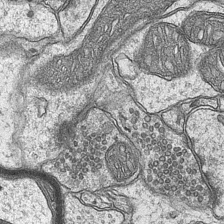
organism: Mouse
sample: CA1 Hippocampus